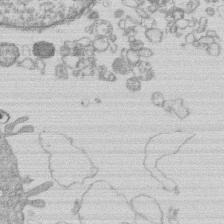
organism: Human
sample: Macrophage cells